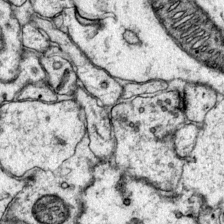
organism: Mouse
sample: Primary visual cortex